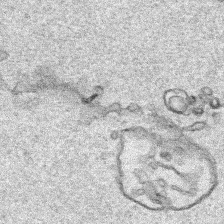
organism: Human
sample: Mitochondria in HCT116 cells